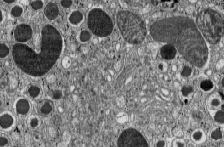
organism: C57BL Mouse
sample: Pancreatic islet